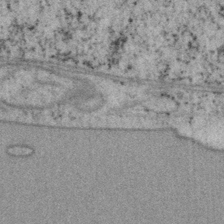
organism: Human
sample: HeLa cells